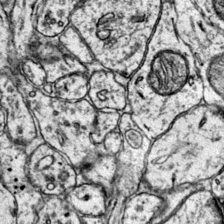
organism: Mouse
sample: Primary visual cortex